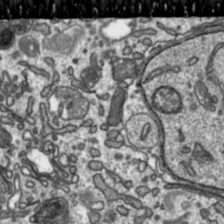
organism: Toxoplasma gondii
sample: Parasites in a vacuole inside a host cell